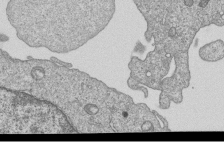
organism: Human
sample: MDA-MB-231 cells